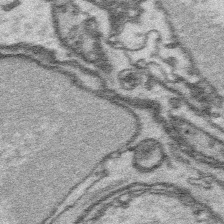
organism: Platynereis dumerilii